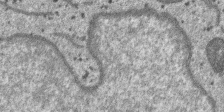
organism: Human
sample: Lung epithelial cells infected with SARS-CoV-2